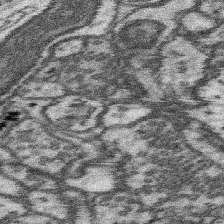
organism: Mouse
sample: Somatosensory cortex neuropil